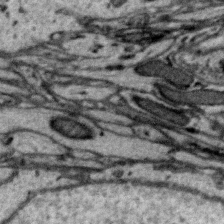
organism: Zebra finch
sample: Brain